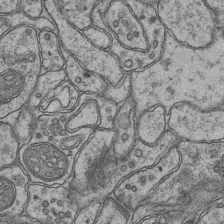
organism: Mouse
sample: CA1 Hippocampus